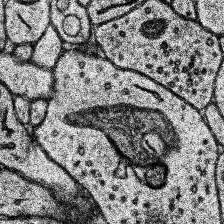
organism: Human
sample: Temporal Lobe